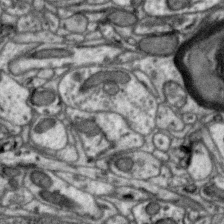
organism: Zebra finch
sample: Brain